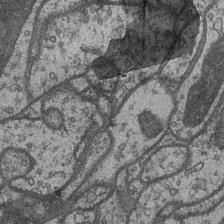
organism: Drosophila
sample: Optic medulla